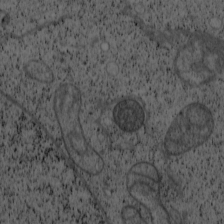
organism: African green monkey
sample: COS-7 cells